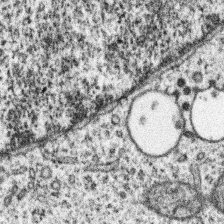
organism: Human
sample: HeLa cells